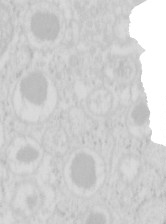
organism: Mouse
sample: Pancreas